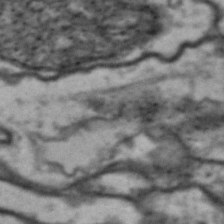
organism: Drosophila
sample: Brain